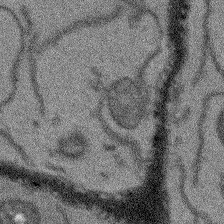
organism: Arabidopsis thaliana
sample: Root tip